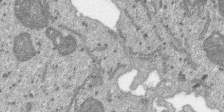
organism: Human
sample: Lung epithelial cells infected with SARS-CoV-2